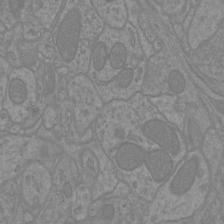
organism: Mouse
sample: Cortical neurons